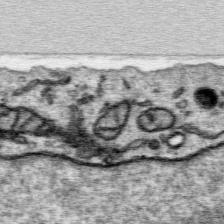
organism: Human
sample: HeLa cells